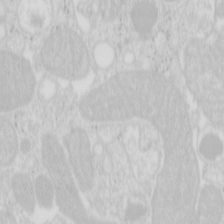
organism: Mouse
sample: Pancreas